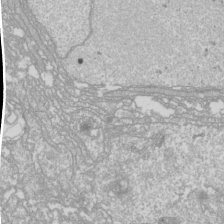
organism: Drosophila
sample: Cell division; meiosis; drosophila spermatocytes